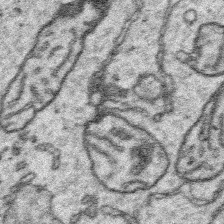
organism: Platynereis dumerilii